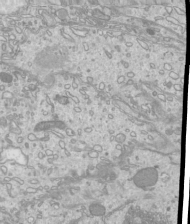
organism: Mouse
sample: Cilia; mouse epididymis